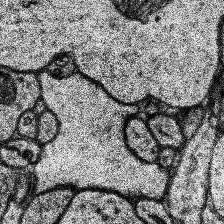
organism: Human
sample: Temporal Lobe